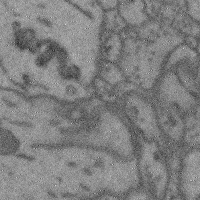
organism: Mouse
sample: Cerebral cortex